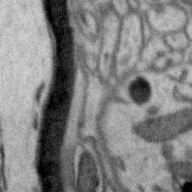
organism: Zebra finch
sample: Brain